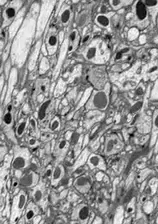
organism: Drosophila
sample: Optic lobe